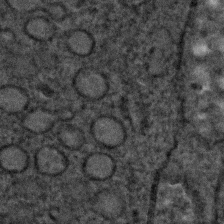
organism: C. elegans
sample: C. elegans embryo